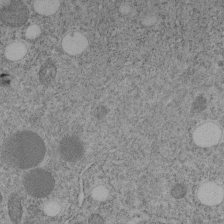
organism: C. elegans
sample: C. elegans embryo early stage